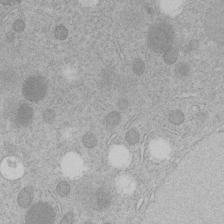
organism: C. elegans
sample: C. elegans embryo early stage